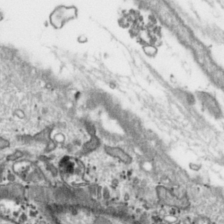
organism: Toxoplasma gondii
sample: Parasites in a vacuole inside a host cell